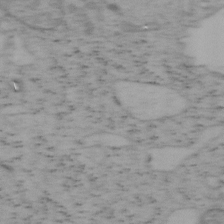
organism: Mouse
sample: OT-I killer T cells with ID8 ovarian cancer cells